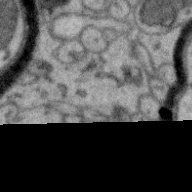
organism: Zebra finch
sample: Brain